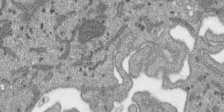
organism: Human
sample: Lung epithelial cells infected with SARS-CoV-2